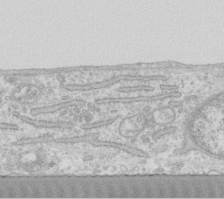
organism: Human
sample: Fibroblast cells